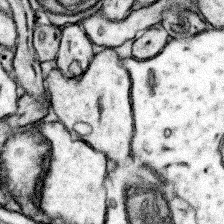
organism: Mouse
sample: Somatosensory cortex neuropil